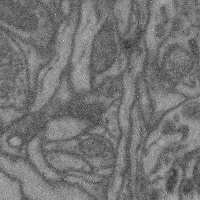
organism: Mouse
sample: Cerebral cortex